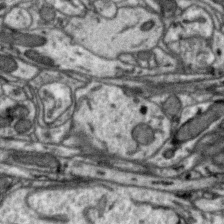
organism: Zebra finch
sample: Brain